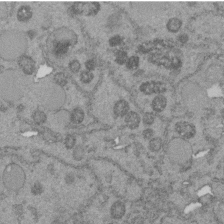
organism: C. elegans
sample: C. elegans embryo early stage